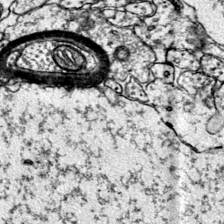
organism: Mouse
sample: Primary visual cortex